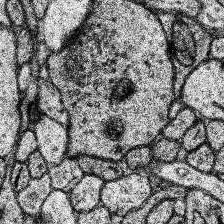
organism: Human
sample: Temporal Lobe